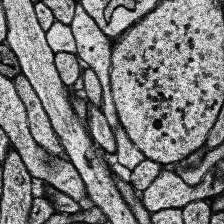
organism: Human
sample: Temporal Lobe